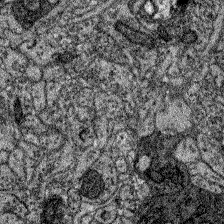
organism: Zebrafish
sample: Larval olfactory bulb